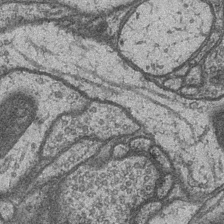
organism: Drosophila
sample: Optic medulla